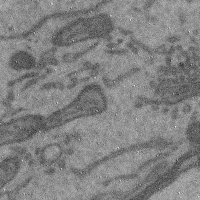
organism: Mouse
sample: Cerebral cortex